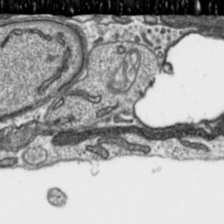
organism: Toxoplasma gondii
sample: Parasites in a vacuole inside a host cell